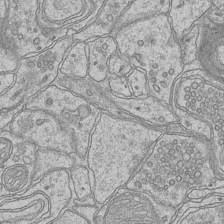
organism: Mouse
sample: CA1 Hippocampus